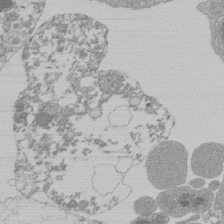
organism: Mouse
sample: Activated Pmel transgenic CD8+ T Cells